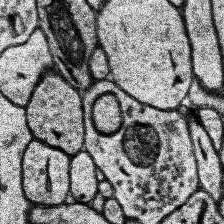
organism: Human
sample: Temporal Lobe